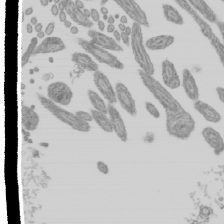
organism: Mouse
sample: Cilia; mouse epididymis